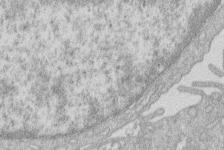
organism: Human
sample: Macrophage cells